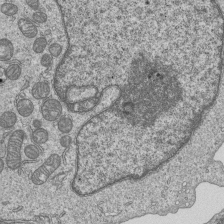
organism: Human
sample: MDA-MB-231 cells